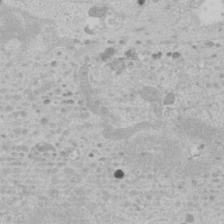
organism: Human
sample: Mitochondria in U2OS cells